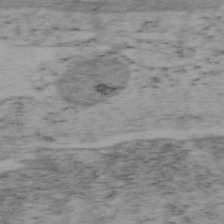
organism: Mouse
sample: OT-I killer T cells with ID8 ovarian cancer cells